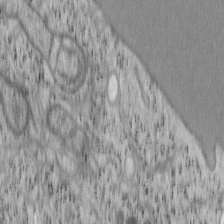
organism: Human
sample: HeLa cells